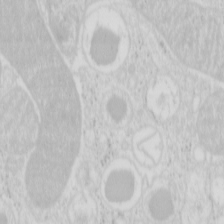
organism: Mouse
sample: Pancreas